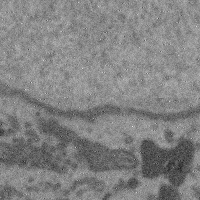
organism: Mouse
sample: Cerebral cortex